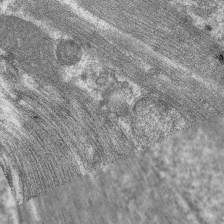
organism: C. elegans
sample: Pharynx